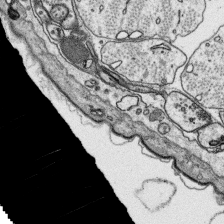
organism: Platynereis dumerilii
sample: Parapodia